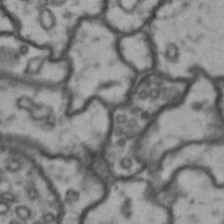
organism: Drosophila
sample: Brain